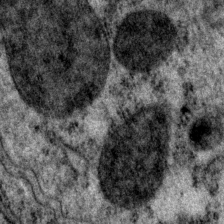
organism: P. pacificus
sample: Pharynx